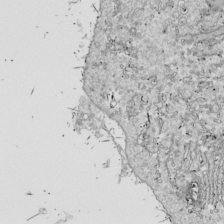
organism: Drosophila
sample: Cell division; meiosis; drosophila spermatocytes